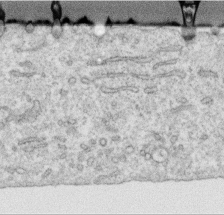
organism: Human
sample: Centriole in RPE cells